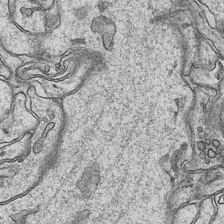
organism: Mouse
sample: CA1 Hippocampus